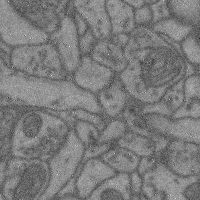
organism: Mouse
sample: Cerebral cortex